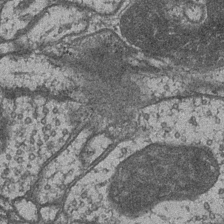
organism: Drosophila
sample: Optic medulla